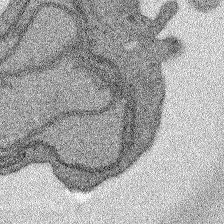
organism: Human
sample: HeLa cells